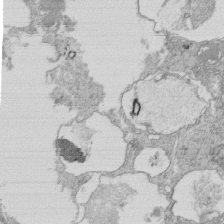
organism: Tetrahymena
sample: Cilia in tetrahymena